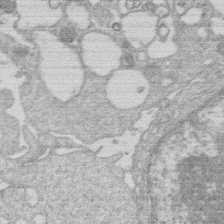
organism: Human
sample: Macrophage cells